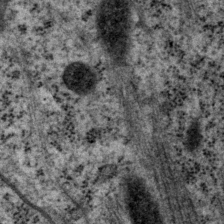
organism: P. pacificus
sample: Pharynx